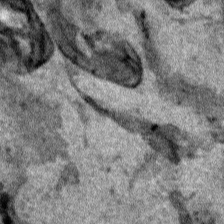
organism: Human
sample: Mitochondria in HCT116 cells